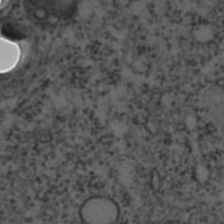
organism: C. elegans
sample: C. elegans embryo